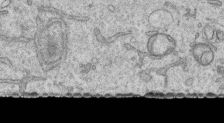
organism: Human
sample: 1205lu cells